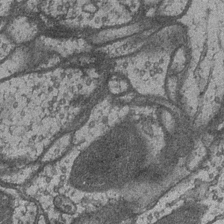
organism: Drosophila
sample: Optic medulla